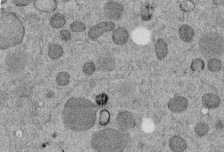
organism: C. elegans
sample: C. elegans embryo early stage